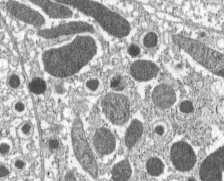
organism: C57BL Mouse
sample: Pancreatic islet